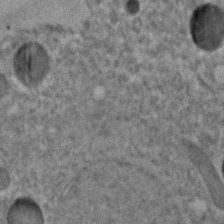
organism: C. elegans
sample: C. elegans embryo